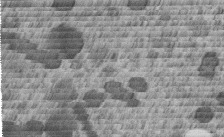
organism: C. elegans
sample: C. elegans embryo early stage